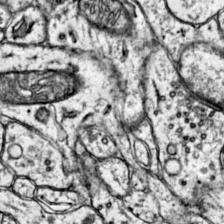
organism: Mouse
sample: Primary visual cortex